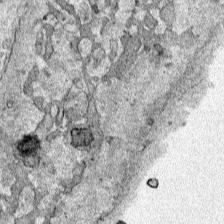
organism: Human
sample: Mitochondria in HCT116 cells